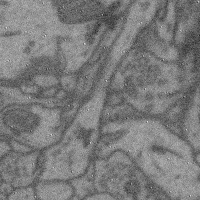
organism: Mouse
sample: Cerebral cortex